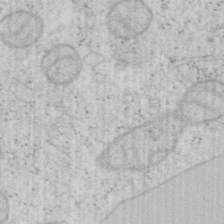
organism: Human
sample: HeLa cells